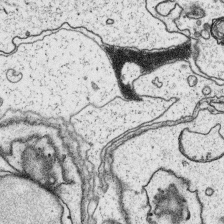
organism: Platynereis dumerilii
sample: Parapodia